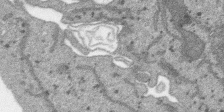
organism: Human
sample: Lung epithelial cells infected with SARS-CoV-2